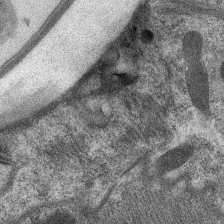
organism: C. elegans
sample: Pharynx